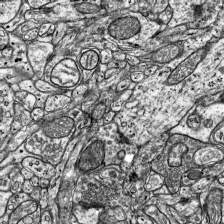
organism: Mouse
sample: Visual Cortex